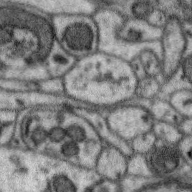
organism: Zebra finch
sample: Brain